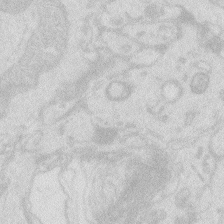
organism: Zebrafish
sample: Macrophage